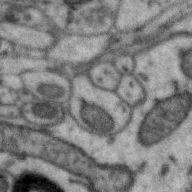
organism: Zebra finch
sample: Brain